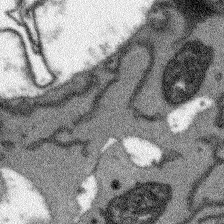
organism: Arabidopsis thaliana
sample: Root tip